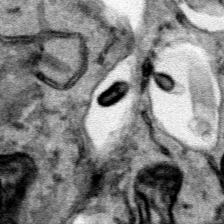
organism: Human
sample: Mitochondria in HCT116 cells